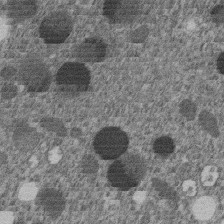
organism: C. elegans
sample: C. elegans embryo early stage